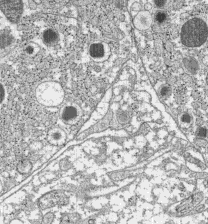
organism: C57BL Mouse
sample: Pancreatic islet